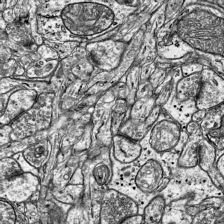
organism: Mouse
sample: Visual Cortex